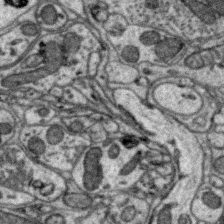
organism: Zebra finch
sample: Brain